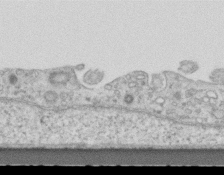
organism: Mouse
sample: Centriole in ependymal cells